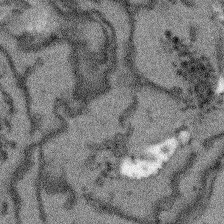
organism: Arabidopsis thaliana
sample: Root tip